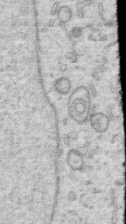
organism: Human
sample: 1205lu cells